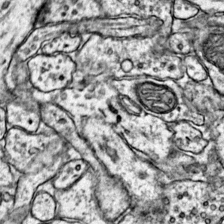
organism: Mouse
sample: Primary visual cortex